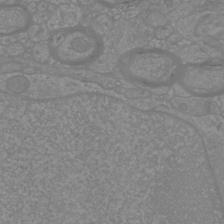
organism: Mouse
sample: Cortical neurons